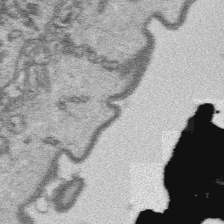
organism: Platynereis dumerilii